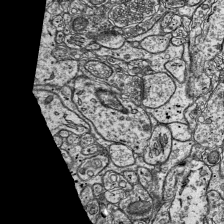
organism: Mouse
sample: Visual Cortex